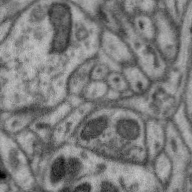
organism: Zebra finch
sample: Brain